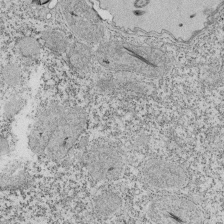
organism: Tetrahymena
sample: Cilia in tetrahymena